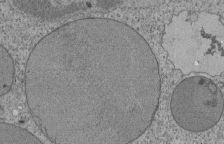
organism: Tetrahymena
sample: Cilia in tetrahymena